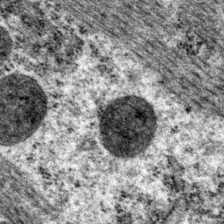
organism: P. pacificus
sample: Pharynx